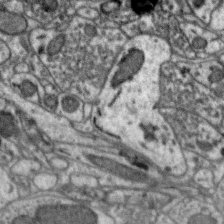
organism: Zebra finch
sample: Brain